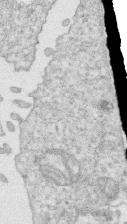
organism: Human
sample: HeLa cell HIV synapse